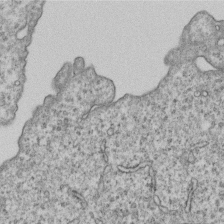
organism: Human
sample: MDA-MB-231 cells